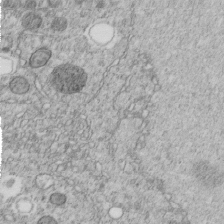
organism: C. elegans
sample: C. elegans embryo early stage